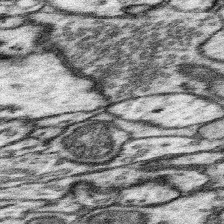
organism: Mouse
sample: Somatosensory cortex neuropil